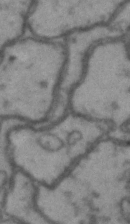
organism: Drosophila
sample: Brain